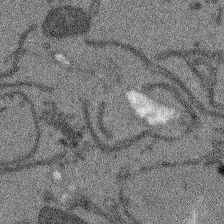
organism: Arabidopsis thaliana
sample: Root tip